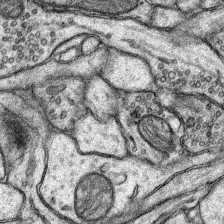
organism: Rat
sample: Hippocampus